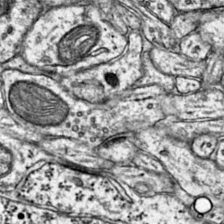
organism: Mouse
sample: Primary visual cortex